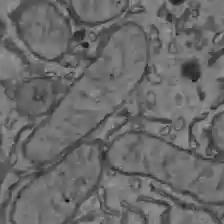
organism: C57BL Mouse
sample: Liver